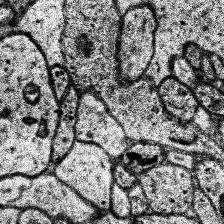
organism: Human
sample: Temporal Lobe